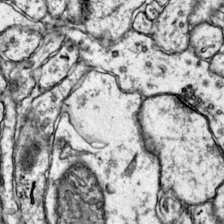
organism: Mouse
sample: Primary visual cortex